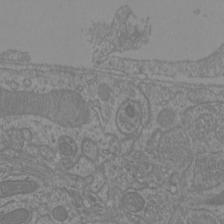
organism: Mouse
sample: Cortical neurons